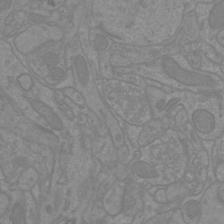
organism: Mouse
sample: Cortical neurons